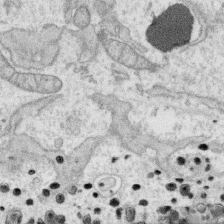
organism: Human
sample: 1205lu cells